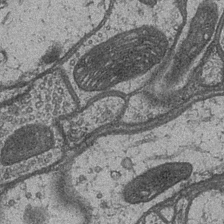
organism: Drosophila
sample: Optic medulla